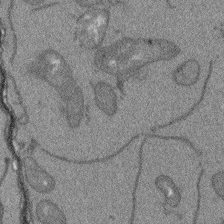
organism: Arabidopsis thaliana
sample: Root tip